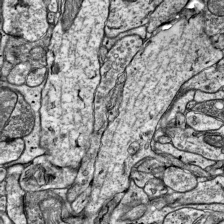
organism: Mouse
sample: Visual Cortex